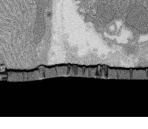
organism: Rat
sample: Salivary granule